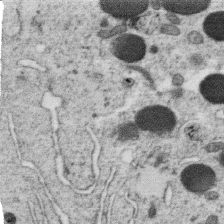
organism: C. elegans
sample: C. elegans oocyte; sperm cells